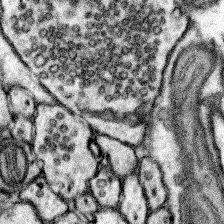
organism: Mouse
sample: Somatosensory cortex neuropil